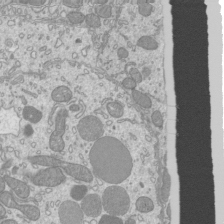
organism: Mouse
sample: Cilia; mouse epididymis